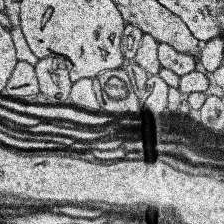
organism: Human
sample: Temporal Lobe